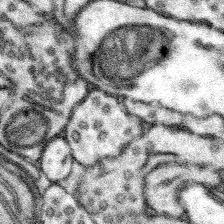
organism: Mouse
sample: Somatosensory cortex neuropil